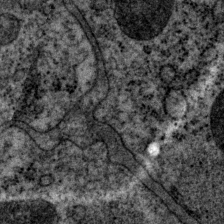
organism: P. pacificus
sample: Pharynx